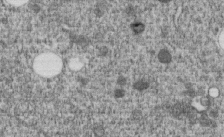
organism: C. elegans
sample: C. elegans embryo early stage